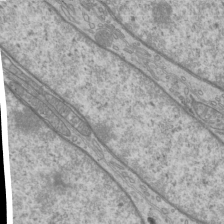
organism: Mouse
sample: Cilia; mouse epididymis